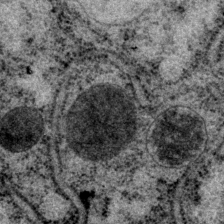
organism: P. pacificus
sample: Pharynx